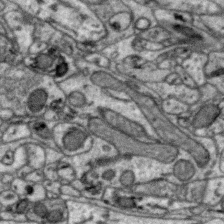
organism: Zebra finch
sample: Brain